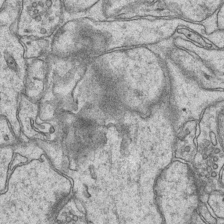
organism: Mouse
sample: CA1 Hippocampus